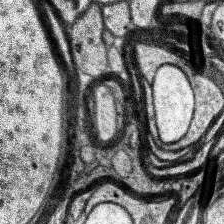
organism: Human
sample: Temporal Lobe